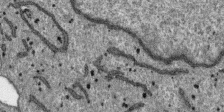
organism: Human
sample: Lung epithelial cells, uninfected (mock) control